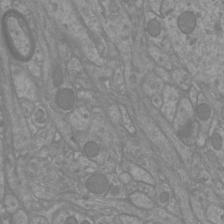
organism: Mouse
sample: Cortical neurons